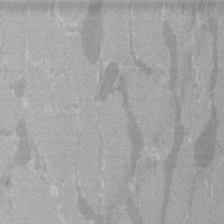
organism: C57BL Mouse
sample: Tibialis anterior muscle cell